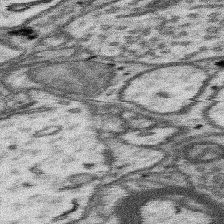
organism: Mouse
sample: Somatosensory cortex neuropil